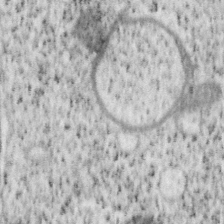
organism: Mouse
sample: OT-I killer T cells with ID8 ovarian cancer cells